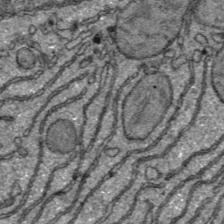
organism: C57BL Mouse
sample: Liver